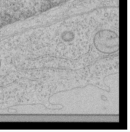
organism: Human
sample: Mitochondria in HCT116 cells